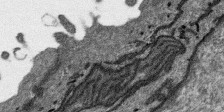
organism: Human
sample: Lung epithelial cells, uninfected (mock) control